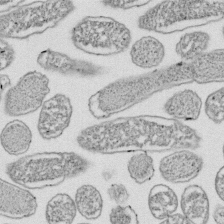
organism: E. coli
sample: Bacterial nucleoid